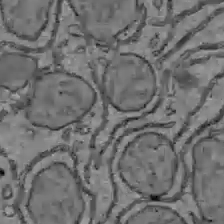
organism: C57BL Mouse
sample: Liver